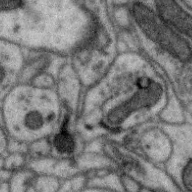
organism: Zebra finch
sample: Brain